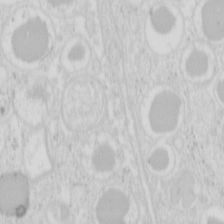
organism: Mouse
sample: Pancreas